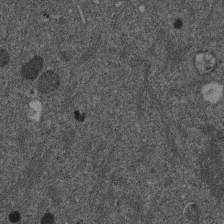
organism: Mouse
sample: Dividing mouse embryo 1 cell stage